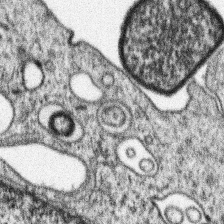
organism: Human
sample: HeLa cells